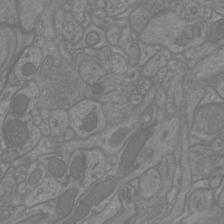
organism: Mouse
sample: Cortical neurons